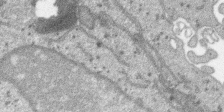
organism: Human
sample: Lung epithelial cells infected with SARS-CoV-2